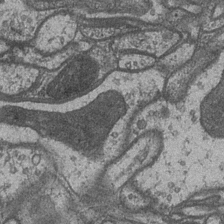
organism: Drosophila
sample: Optic medulla